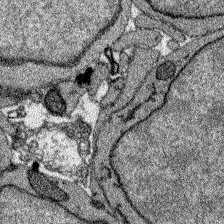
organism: Zebrafish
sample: Larval olfactory bulb